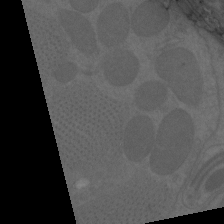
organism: C. elegans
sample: Pharynx